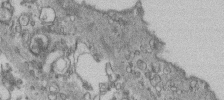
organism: Human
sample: Centriole in fibroblast cells